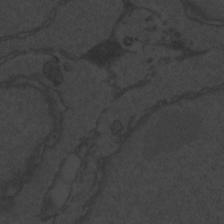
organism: Zebrafish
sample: Macrophage infected with Toxoplasma gondii